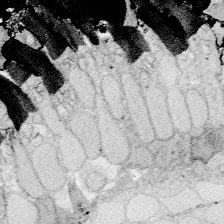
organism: Zebrafish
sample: Whole-Brain